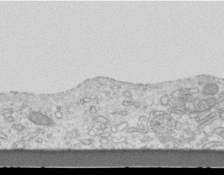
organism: Mouse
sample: Centriole in ependymal cells